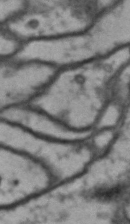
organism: Drosophila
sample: Brain